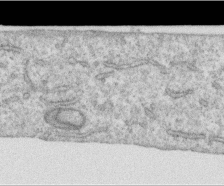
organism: Human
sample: Centriole in RPE cells